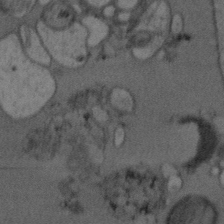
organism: Human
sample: HeLa cells